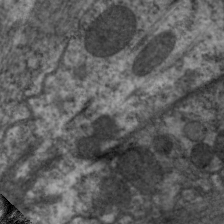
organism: C. elegans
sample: Pharynx